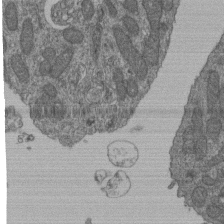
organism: Human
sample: Retinal organoid Rod and Cone cells